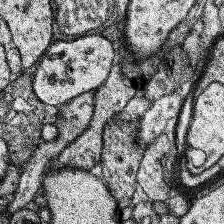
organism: Human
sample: Temporal Lobe